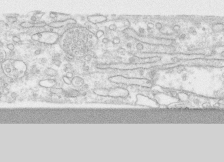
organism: Human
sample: CRL-1474